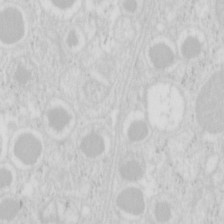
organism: Mouse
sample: Pancreas